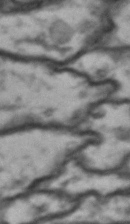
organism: Drosophila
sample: Brain